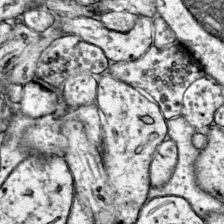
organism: Mouse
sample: Primary visual cortex